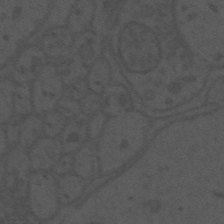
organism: Mouse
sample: Suprachiasmatic nucleus